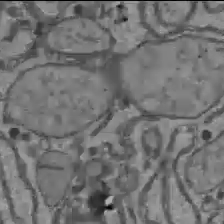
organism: C57BL Mouse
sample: Liver